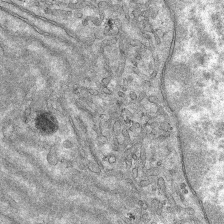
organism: Mouse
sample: Mouse hepatocytes